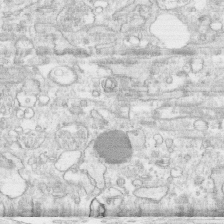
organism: Human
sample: CRL-1474